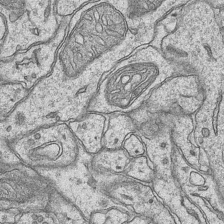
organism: Mouse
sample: CA1 Hippocampus